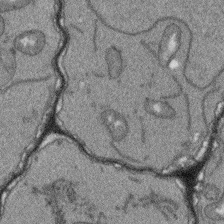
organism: Arabidopsis thaliana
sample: Root tip